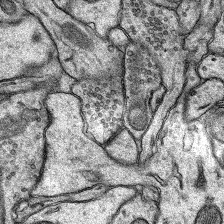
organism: Rat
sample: Hippocampus